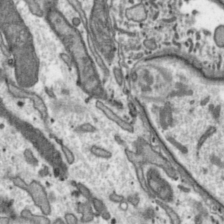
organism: Toxoplasma gondii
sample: Parasites in a vacuole inside a host cell